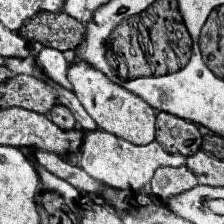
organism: Human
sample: Temporal Lobe